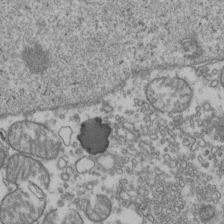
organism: Human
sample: Activated Jurkat CD4+ T cells